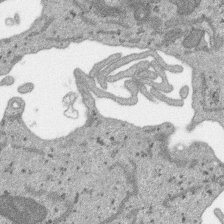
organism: Human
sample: Lung epithelial cells infected with SARS-CoV-2